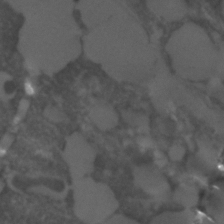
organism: C. elegans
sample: C. elegans embryo